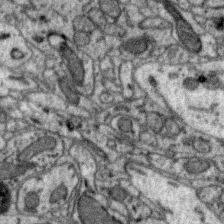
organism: Zebra finch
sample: Brain